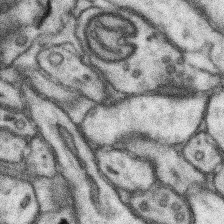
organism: Mouse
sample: Somatosensory cortex neuropil